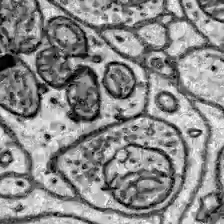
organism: Zebrafish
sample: Brain